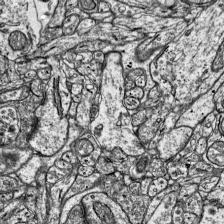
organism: Mouse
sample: Visual Cortex